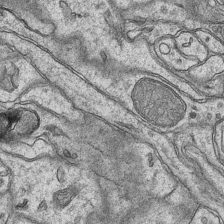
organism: Mouse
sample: CA1 Hippocampus